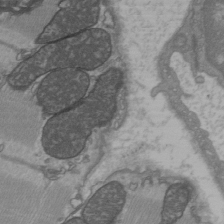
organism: C57BL Mouse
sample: Heart